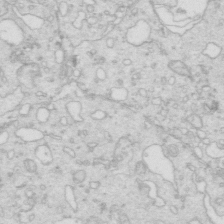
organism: Mouse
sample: Multiciliated cells